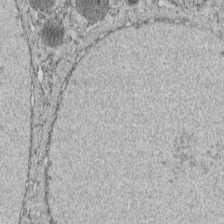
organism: C. elegans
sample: C. elegans embryo early stage